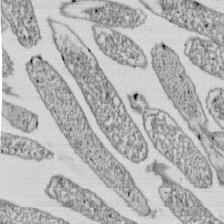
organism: E. coli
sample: Bacterial nucleoid